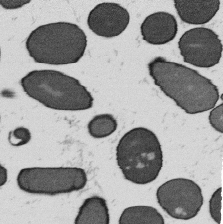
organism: B. subtilis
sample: Bacterial spore